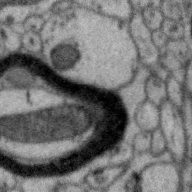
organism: Zebra finch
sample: Brain